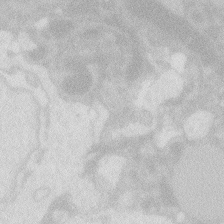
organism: Zebrafish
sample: Macrophage